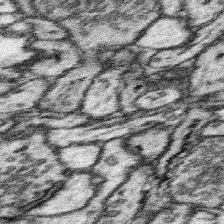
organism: Mouse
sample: Somatosensory cortex neuropil